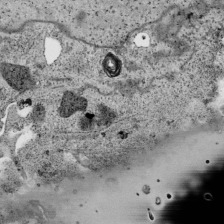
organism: Human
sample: Mitochondria in HCT116 cells